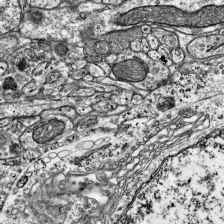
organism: Mouse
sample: Visual Cortex